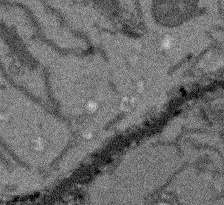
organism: Arabidopsis thaliana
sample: Root tip